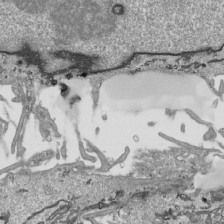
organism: Human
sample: Mitochondria in HCT116 cells